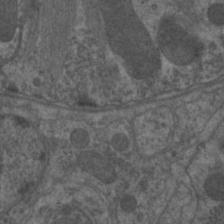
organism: C. elegans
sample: Pharynx